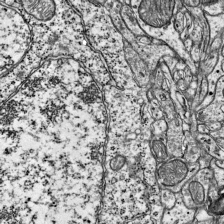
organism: Mouse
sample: Visual Cortex